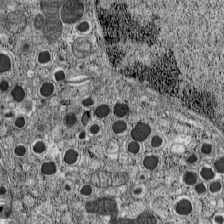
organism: C57BL Mouse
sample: Pancreatic islet